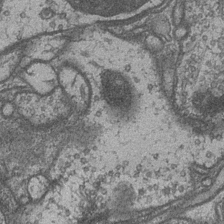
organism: Drosophila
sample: Optic medulla